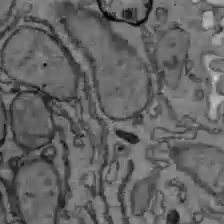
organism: C57BL Mouse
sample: Liver